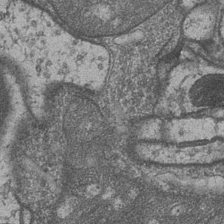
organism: Drosophila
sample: Optic medulla